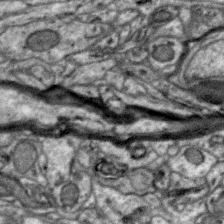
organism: Zebra finch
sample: Brain